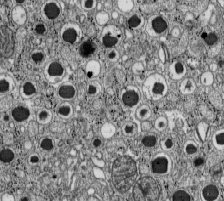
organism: C57BL Mouse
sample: Pancreatic islet